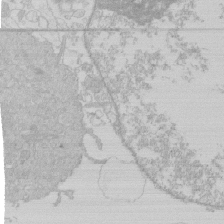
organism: Human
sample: Macrophage cells